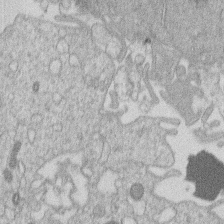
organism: Human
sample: Macrophage cells